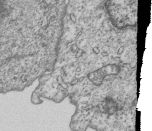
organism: Human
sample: MDA-MB-231 cells